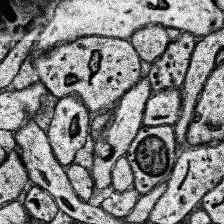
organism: Human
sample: Temporal Lobe